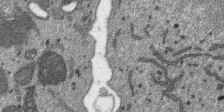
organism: Human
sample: Lung epithelial cells infected with SARS-CoV-2